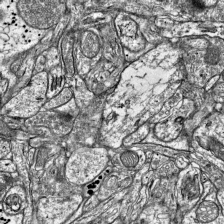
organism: Mouse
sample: Visual Cortex